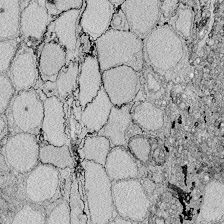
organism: Zebrafish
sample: Whole-Brain